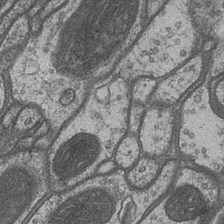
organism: Drosophila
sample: Optic medulla